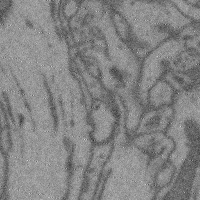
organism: Mouse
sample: Cerebral cortex